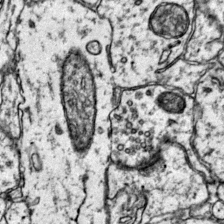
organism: Mouse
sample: Primary visual cortex